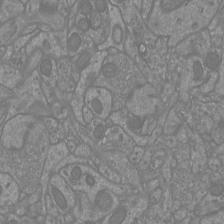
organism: Mouse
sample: Cortical neurons